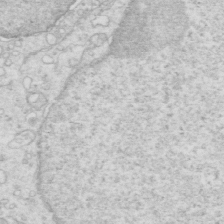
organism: Mouse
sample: Multiciliated cells